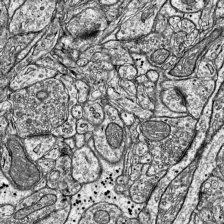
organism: Mouse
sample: Visual Cortex